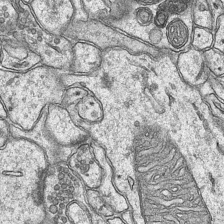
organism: Mouse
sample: CA1 Hippocampus